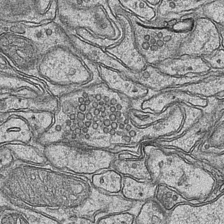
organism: Mouse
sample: CA1 Hippocampus